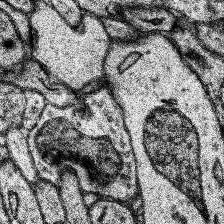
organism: Human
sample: Temporal Lobe